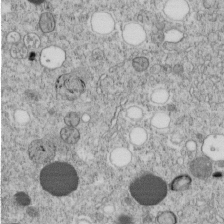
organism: C. elegans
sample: C. elegans embryo early stage